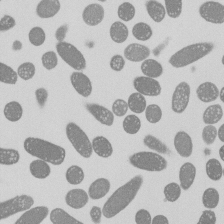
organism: E. coli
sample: Bacterial nucleoid